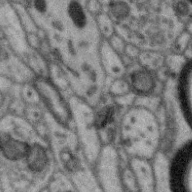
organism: Zebra finch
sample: Brain